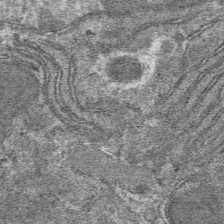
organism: Mouse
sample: Mouse hepatocytes